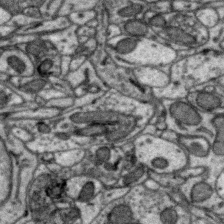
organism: Zebra finch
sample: Brain